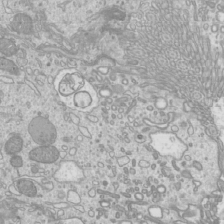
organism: Mouse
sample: Cilia; mouse epididymis